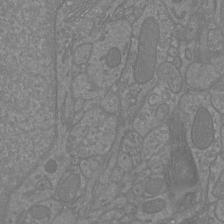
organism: Mouse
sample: Cortical neurons